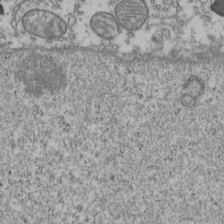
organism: Human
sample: Activated Jurkat CD4+ T cells